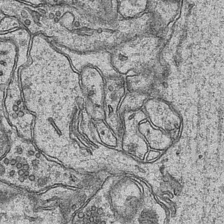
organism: Mouse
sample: CA1 Hippocampus